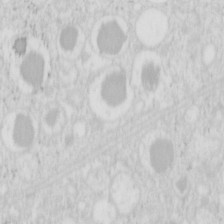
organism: Mouse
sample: Pancreas